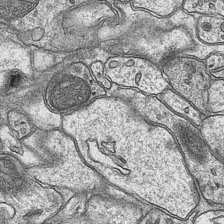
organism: Mouse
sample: CA1 Hippocampus